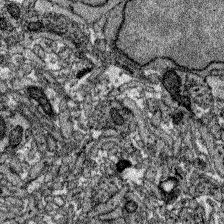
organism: Zebrafish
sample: Larval olfactory bulb